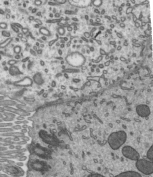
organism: Mouse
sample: Mouse epididymis efferent ductule cilia